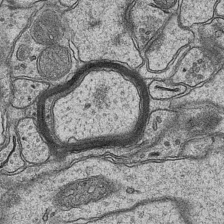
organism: Mouse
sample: CA1 Hippocampus